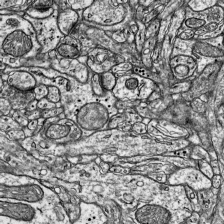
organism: Mouse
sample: Visual Cortex